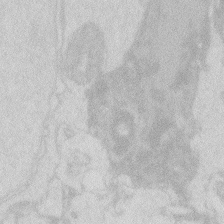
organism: Zebrafish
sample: Macrophage